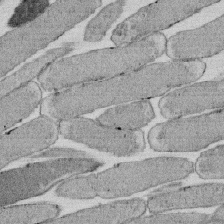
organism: E. coli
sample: Bacterial nucleoid